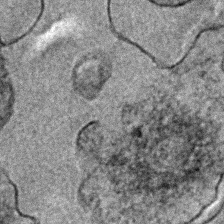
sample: Trachea